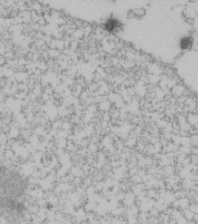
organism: Human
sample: U2-OS cells